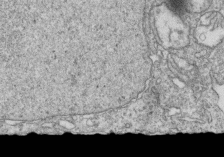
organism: Human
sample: HeLa cell HIV synapse